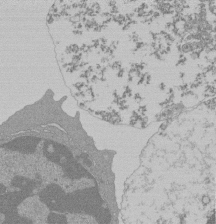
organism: Mouse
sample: Activated Pmel transgenic CD8+ T Cells